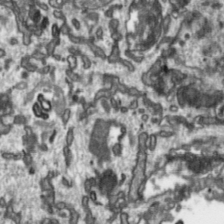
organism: Toxoplasma gondii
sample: Parasites in a vacuole inside a host cell